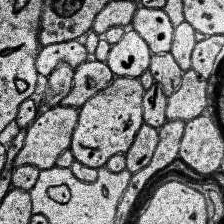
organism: Human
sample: Temporal Lobe